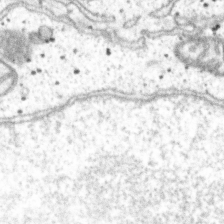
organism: Human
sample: HeLa cells